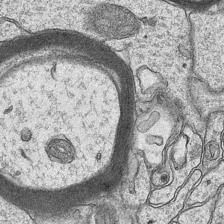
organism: Mouse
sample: CA1 Hippocampus